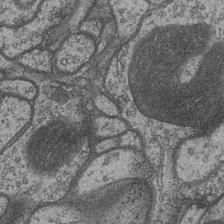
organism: Drosophila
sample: Optic medulla